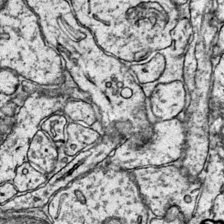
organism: Mouse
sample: Primary visual cortex